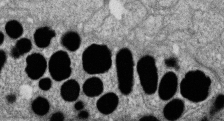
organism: Zebrafish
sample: Cilia; retinal pigment epithelium